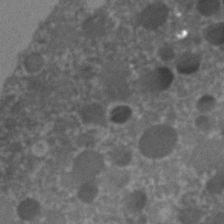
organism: C. elegans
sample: C. elegans embryo